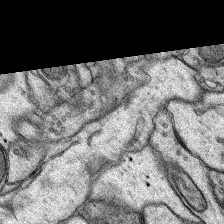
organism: Rat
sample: Hippocampus